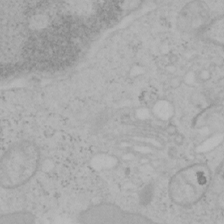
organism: Mouse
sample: OT-I killer T cells with ID8 ovarian cancer cells